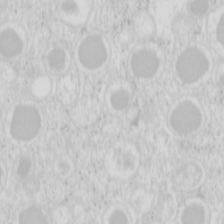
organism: Mouse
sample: Pancreas